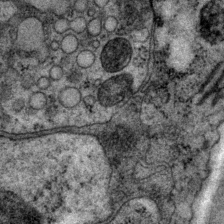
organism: P. pacificus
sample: Pharynx